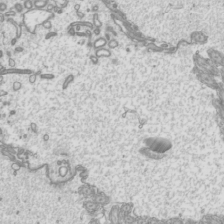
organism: Mouse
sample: Cilia; mouse epididymis